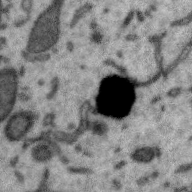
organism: Zebra finch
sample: Brain